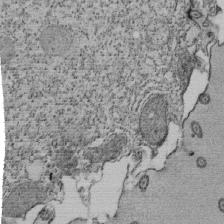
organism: Tetrahymena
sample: Cilia in tetrahymena